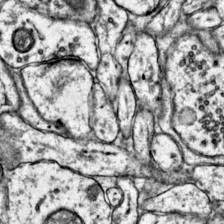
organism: Mouse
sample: Primary visual cortex